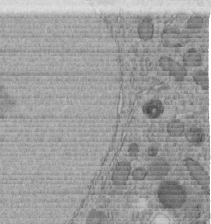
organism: C. elegans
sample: C. elegans embryo early stage